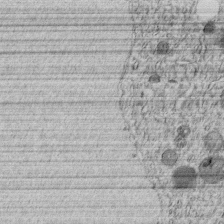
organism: C. elegans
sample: C. elegans embryo early stage